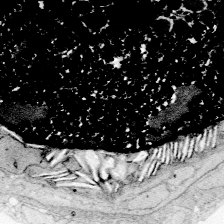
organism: Zebrafish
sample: Whole-Brain